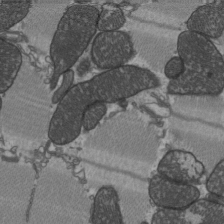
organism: C57BL Mouse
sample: Heart